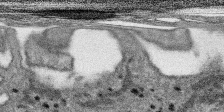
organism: Human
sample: Lung epithelial cells infected with SARS-CoV-2